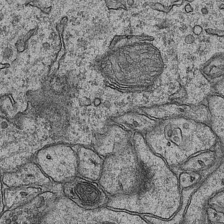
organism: Mouse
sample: CA1 Hippocampus